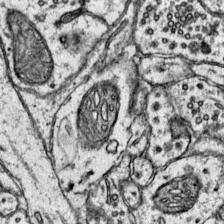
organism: Mouse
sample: Primary visual cortex